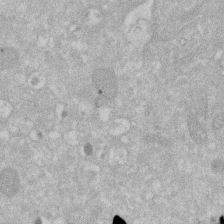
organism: Human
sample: HIV infected U937 cells